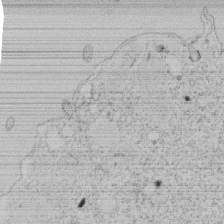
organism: Tetrahymena